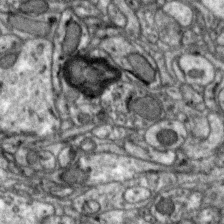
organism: Zebra finch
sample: Brain